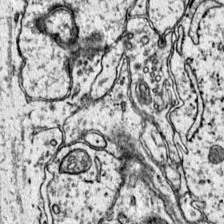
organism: Mouse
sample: Primary visual cortex